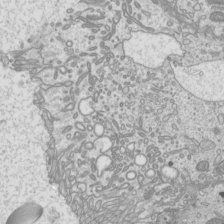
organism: Mouse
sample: Cilia; mouse epididymis